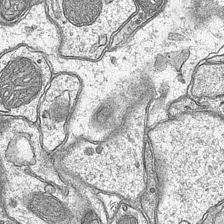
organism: Mouse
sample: CA1 Hippocampus